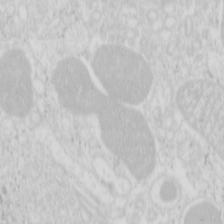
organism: Mouse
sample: Pancreas